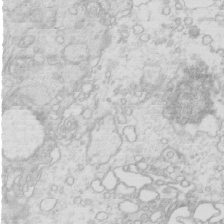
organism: Mouse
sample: Multiciliated cells